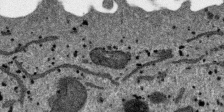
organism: Human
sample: Lung epithelial cells, uninfected (mock) control